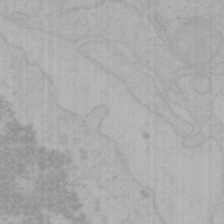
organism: Mouse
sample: Choroid plexus